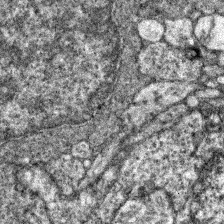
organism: Zebrafish